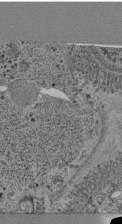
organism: C. elegans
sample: C. elegans pharynx